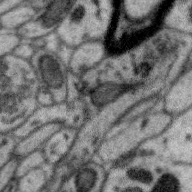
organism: Zebra finch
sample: Brain